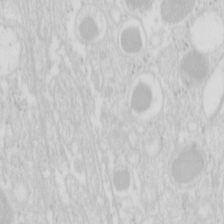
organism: Mouse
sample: Pancreas